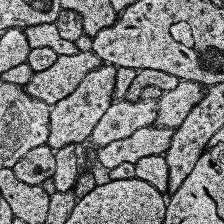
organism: Human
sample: Temporal Lobe